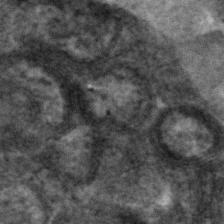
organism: C. elegans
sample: C. elegans embryo